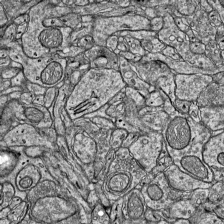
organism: Mouse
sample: Visual Cortex